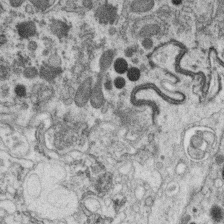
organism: C. elegans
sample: C. elegans oocyte; sperm cells